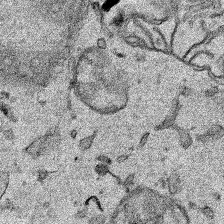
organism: Human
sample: Mitochondria in HCT116 cells